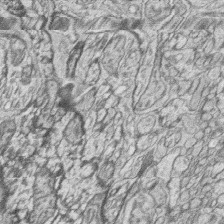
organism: Zebrafish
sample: synaptic ribbons in rod cells and cone cells